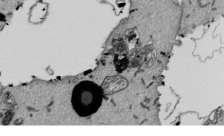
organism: Mouse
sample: ED-1 cell nuclei; centrioles